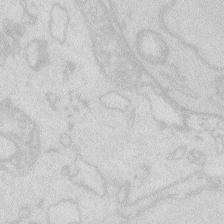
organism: Zebrafish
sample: Macrophage